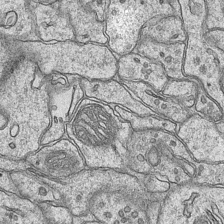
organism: Mouse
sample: CA1 Hippocampus